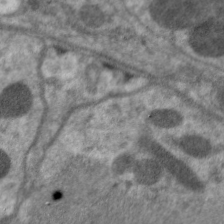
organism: C. elegans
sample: Pharynx